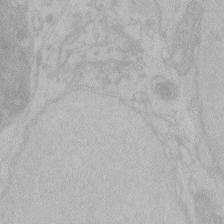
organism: Zebrafish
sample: Macrophage infected with Toxoplasma gondii